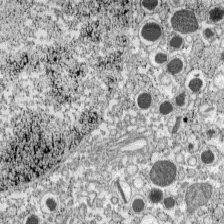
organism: C57BL Mouse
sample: Pancreatic islet